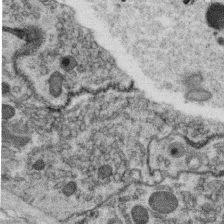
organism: C. elegans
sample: C. elegans oocyte; sperm cells